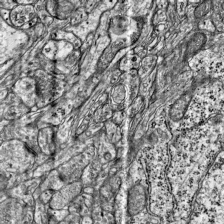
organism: Mouse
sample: Visual Cortex